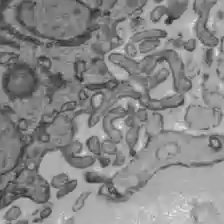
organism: C57BL Mouse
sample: Liver